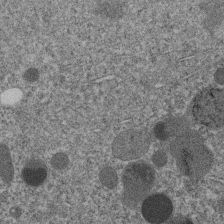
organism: C. elegans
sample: C. elegans embryo early stage